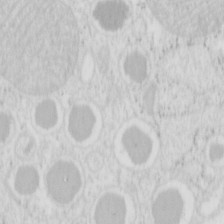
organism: Mouse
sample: Pancreas